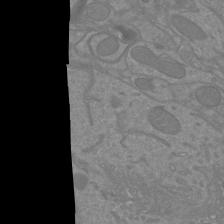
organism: Mouse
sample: Cortical neurons